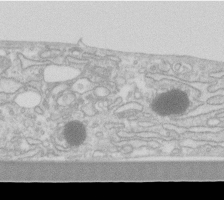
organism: Human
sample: Fibroblast cells